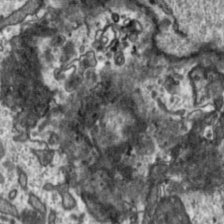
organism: Toxoplasma gondii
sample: Parasites in a vacuole inside a host cell